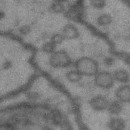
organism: Drosophila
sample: Brain